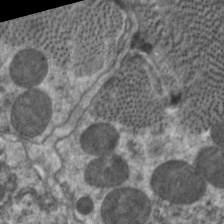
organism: C. elegans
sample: Pharynx